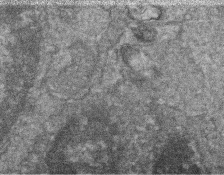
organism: Zebrafish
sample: Cilia; retinal pigment epithelium